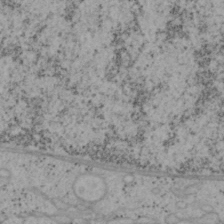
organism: Human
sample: HeLa cells